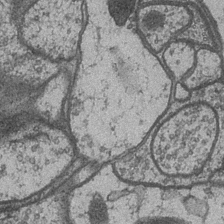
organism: Drosophila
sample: Optic medulla